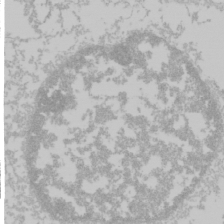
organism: Mouse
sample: Cancer cell death in ED-1 cells